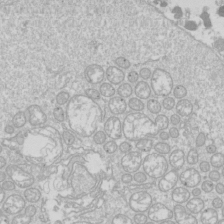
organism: Drosophila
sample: Cell division; meiosis; drosophila spermatocytes